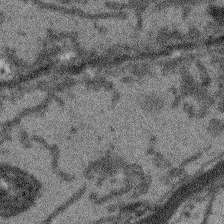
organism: Arabidopsis thaliana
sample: Root tip